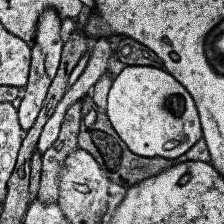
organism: Human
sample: Temporal Lobe